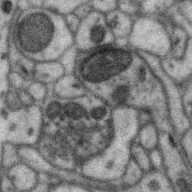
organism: Zebra finch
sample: Brain